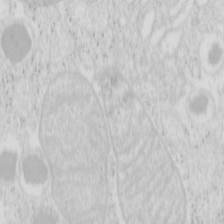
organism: Mouse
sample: Pancreas